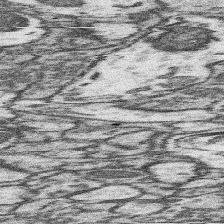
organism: Mouse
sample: Somatosensory cortex neuropil